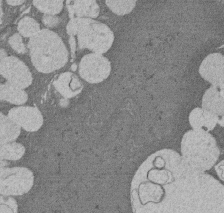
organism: Rat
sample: Salivary granule